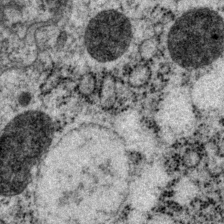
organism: P. pacificus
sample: Pharynx